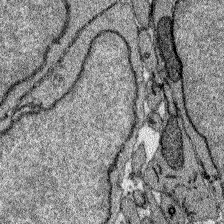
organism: Zebrafish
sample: Larval olfactory bulb